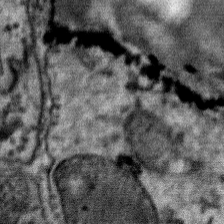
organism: Mouse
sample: Mouse Salivary gland